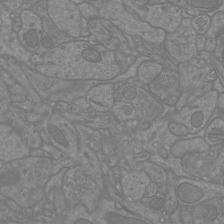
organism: Mouse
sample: Cortical neurons